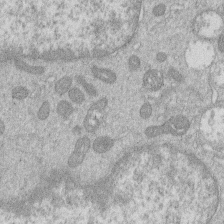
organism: Human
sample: Macrophage cells